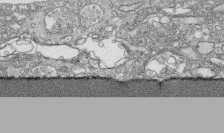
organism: Human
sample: CRL-1474